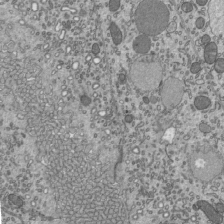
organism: Mouse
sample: Mouse epididymis efferent ductule cilia